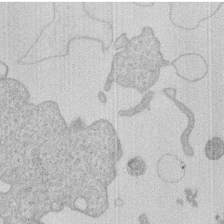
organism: Human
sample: Macrophage cells